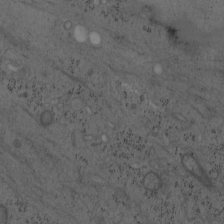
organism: Mouse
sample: OT-I killer T cells with ID8 ovarian cancer cells